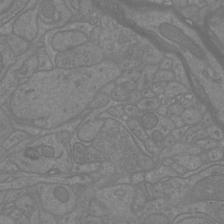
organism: Mouse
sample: Cortical neurons